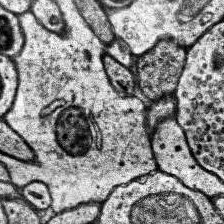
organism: Human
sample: Temporal Lobe